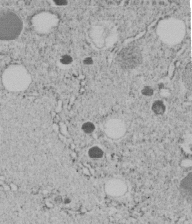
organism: C. elegans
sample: C. elegans embryo early stage